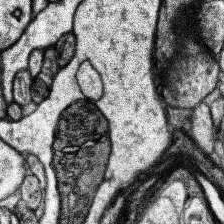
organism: Human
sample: Temporal Lobe